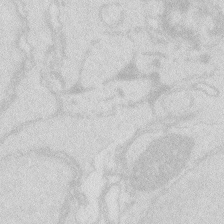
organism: Zebrafish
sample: Macrophage